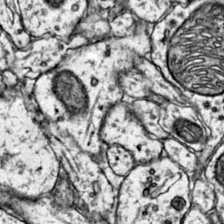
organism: Mouse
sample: Primary visual cortex